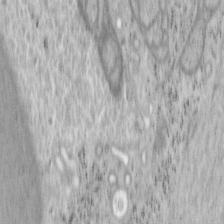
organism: Human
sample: HeLa cells